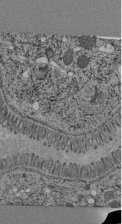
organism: C. elegans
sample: C. elegans pharynx